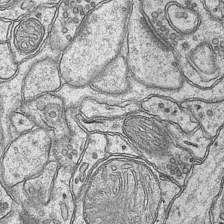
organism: Mouse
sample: CA1 Hippocampus